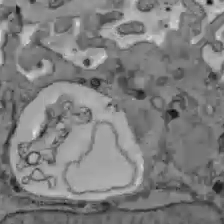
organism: C57BL Mouse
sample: Liver